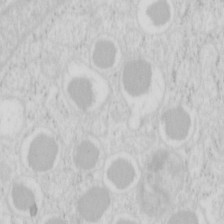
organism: Mouse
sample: Pancreas